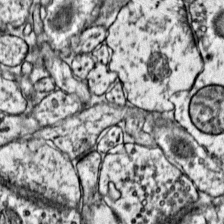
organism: Mouse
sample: Primary visual cortex